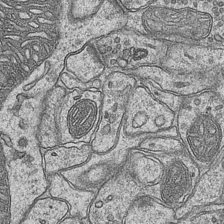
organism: Mouse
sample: CA1 Hippocampus